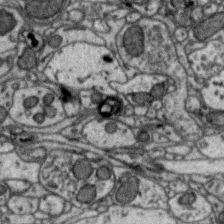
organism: Zebra finch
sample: Brain